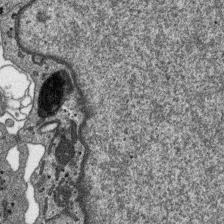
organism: Human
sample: Lung epithelial cells infected with SARS-CoV-2